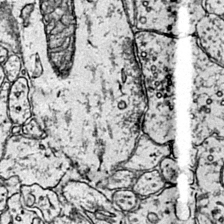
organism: Mouse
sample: Primary visual cortex